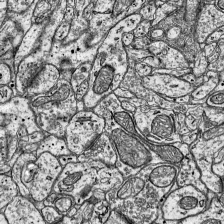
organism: Mouse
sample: Visual Cortex